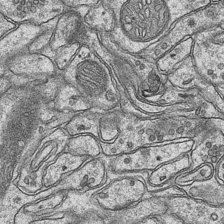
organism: Mouse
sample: CA1 Hippocampus